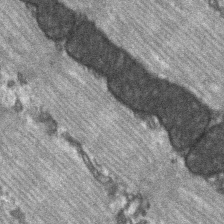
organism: C57BL Mouse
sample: Soleus